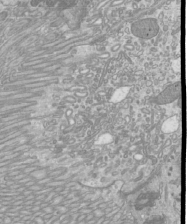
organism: Mouse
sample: Cilia; mouse epididymis